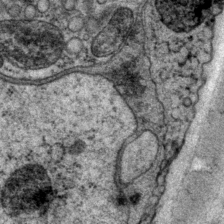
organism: P. pacificus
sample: Pharynx